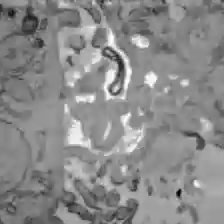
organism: C57BL Mouse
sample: Liver